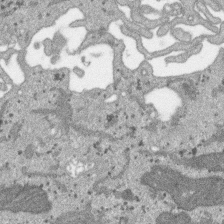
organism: Human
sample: Lung epithelial cells infected with SARS-CoV-2